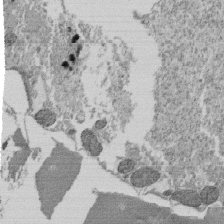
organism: Tetrahymena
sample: Cilia in tetrahymena